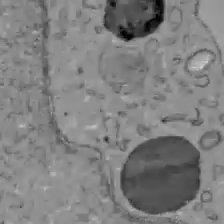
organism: C57BL Mouse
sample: Liver